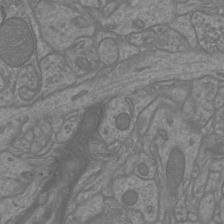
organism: Mouse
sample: Cortical neurons